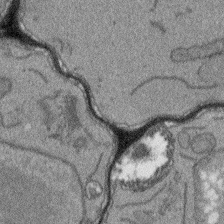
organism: Arabidopsis thaliana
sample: Root tip